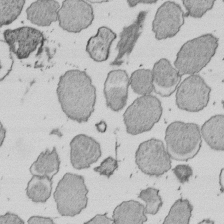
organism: E. coli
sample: Bacterial nucleoid